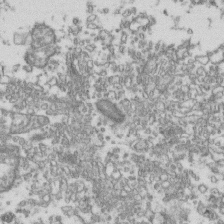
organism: Human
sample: Activated Jurkat CD4+ T cells